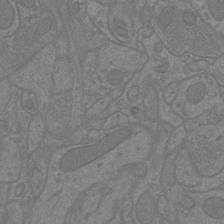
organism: Mouse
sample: Cortical neurons